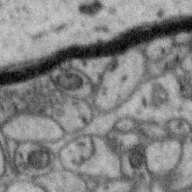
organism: Zebra finch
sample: Brain